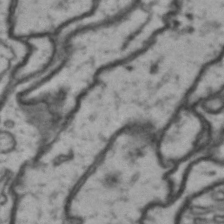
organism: Drosophila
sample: Brain